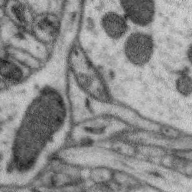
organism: Zebra finch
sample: Brain